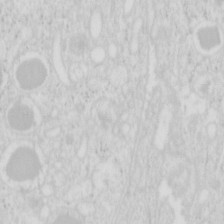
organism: Mouse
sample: Pancreas